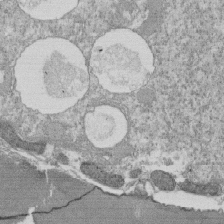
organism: Tetrahymena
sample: Cilia in tetrahymena